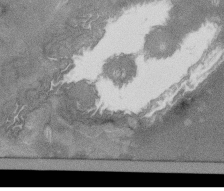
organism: Tetrahymena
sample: Cilia in tetrahymena